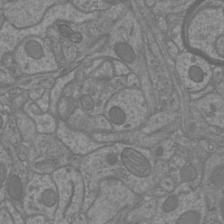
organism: Mouse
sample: Cortical neurons